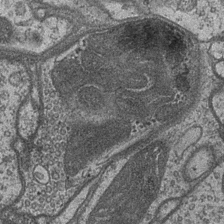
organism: Drosophila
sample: Optic medulla